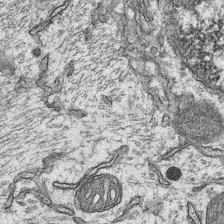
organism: Mouse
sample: CA1 Hippocampus